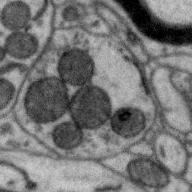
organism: Zebra finch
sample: Brain